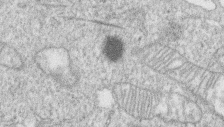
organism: Human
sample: HeLa cell HIV synapse